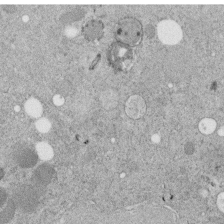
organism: C. elegans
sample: C. elegans embryo early stage